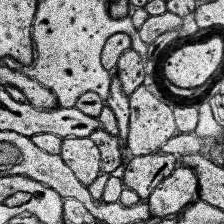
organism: Human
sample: Temporal Lobe